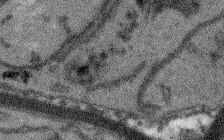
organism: Arabidopsis thaliana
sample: Root tip